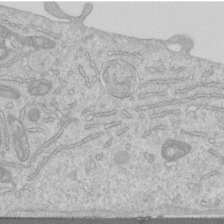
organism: Human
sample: Centriole in RPE cells